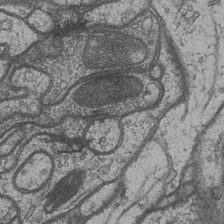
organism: Drosophila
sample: Optic medulla